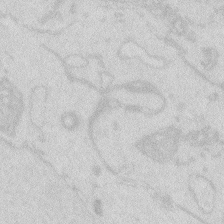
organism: Zebrafish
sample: Macrophage